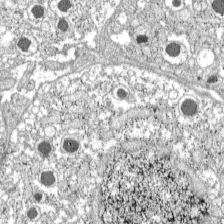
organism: C57BL Mouse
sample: Pancreatic islet